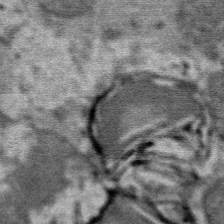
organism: Mouse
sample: Mouse Salivary gland